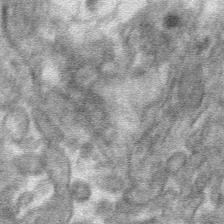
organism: Mouse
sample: Mouse hepatocytes